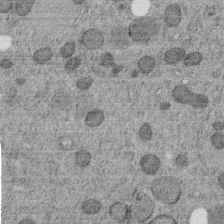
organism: C. elegans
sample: C. elegans embryo early stage